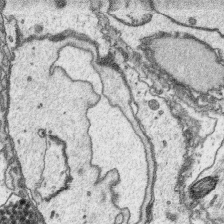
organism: Platynereis dumerilii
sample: Parapodia